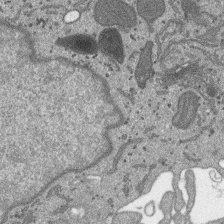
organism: Human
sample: Lung epithelial cells infected with SARS-CoV-2